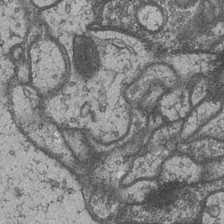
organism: Drosophila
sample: Optic medulla